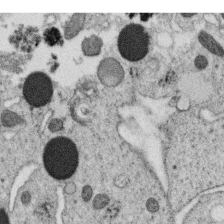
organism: C. elegans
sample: C. elegans oocyte; sperm cells